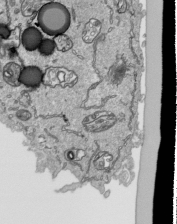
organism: Human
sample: Mitochondria in HCT116 cells